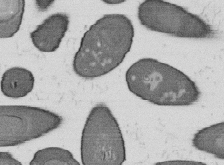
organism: B. subtilis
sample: Bacterial spore